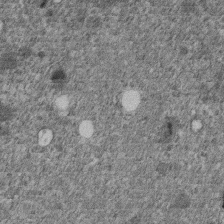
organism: C. elegans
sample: C. elegans embryo early stage